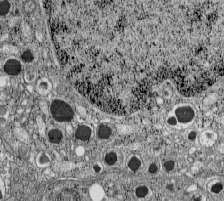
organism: C57BL Mouse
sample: Pancreatic islet